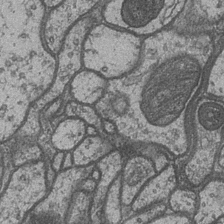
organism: Drosophila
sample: Optic medulla